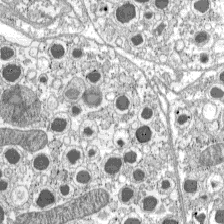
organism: C57BL Mouse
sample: Pancreatic islet